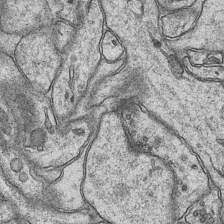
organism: Mouse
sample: CA1 Hippocampus